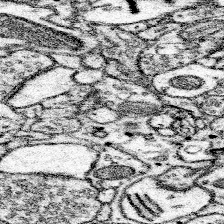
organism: Mouse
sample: Somatosensory cortex neuropil